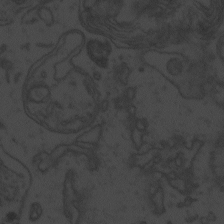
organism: Zebrafish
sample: Macrophage infected with Toxoplasma gondii